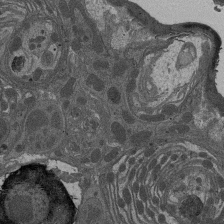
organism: Drosophila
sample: Antenna